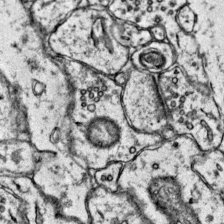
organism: Mouse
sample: Primary visual cortex